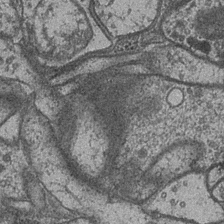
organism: Drosophila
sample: Optic medulla